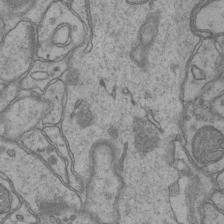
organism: Mouse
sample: CA1 Hippocampus